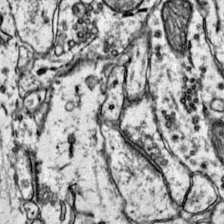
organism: Mouse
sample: Primary visual cortex